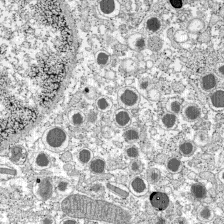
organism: C57BL Mouse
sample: Pancreatic islet